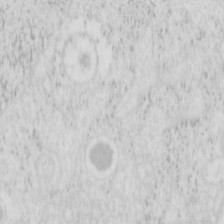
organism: Mouse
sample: Pancreas